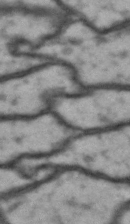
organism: Drosophila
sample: Brain